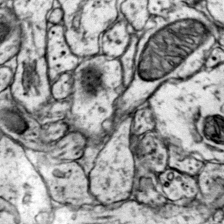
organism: Mouse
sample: Primary visual cortex